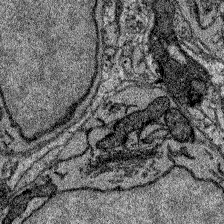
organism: Zebrafish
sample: Larval olfactory bulb